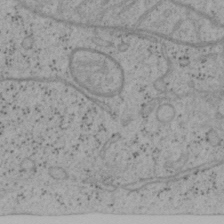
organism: Human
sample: HeLa cells